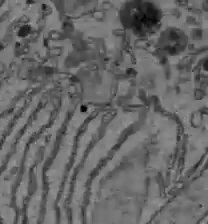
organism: C57BL Mouse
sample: Liver